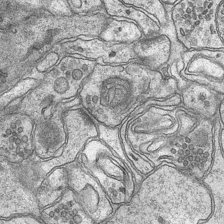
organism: Mouse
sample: CA1 Hippocampus